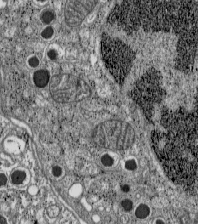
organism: C57BL Mouse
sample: Pancreatic islet